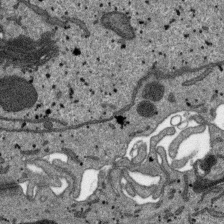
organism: Human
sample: Lung epithelial cells, uninfected (mock) control